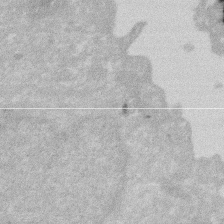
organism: Human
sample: HIV infected U937 cells